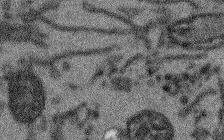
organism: Arabidopsis thaliana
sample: Root tip